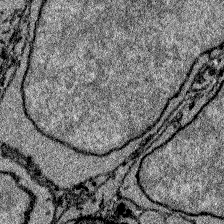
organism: Zebrafish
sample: Larval olfactory bulb